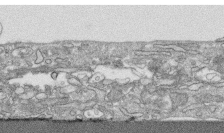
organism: Human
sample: CRL-1474